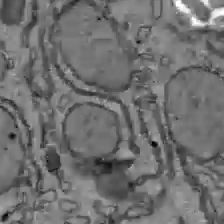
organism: C57BL Mouse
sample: Liver